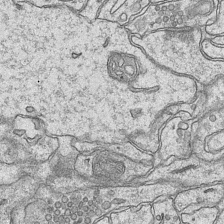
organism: Mouse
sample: CA1 Hippocampus